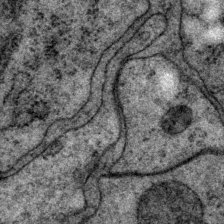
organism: P. pacificus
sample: Pharynx